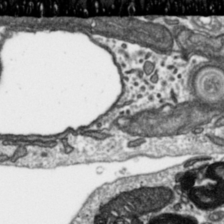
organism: Toxoplasma gondii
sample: Parasites in a vacuole inside a host cell